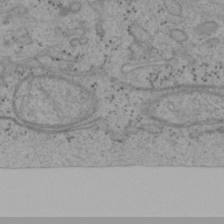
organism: Human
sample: HeLa cells